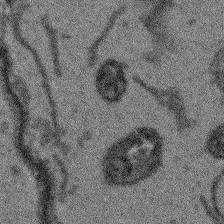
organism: Arabidopsis thaliana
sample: Root tip